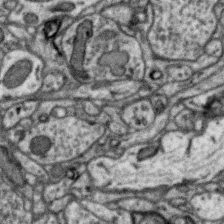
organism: Zebra finch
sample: Brain